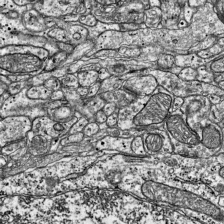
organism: Mouse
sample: Visual Cortex